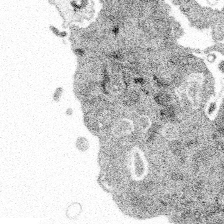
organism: Spongilla lacustris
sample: Multiple